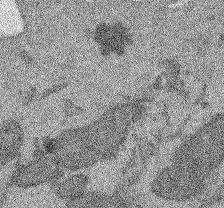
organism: Human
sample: HeLa cells